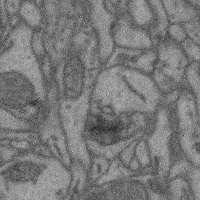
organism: Mouse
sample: Cerebral cortex